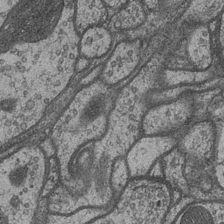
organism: Drosophila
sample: Optic medulla